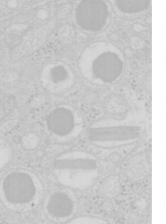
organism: Mouse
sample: Pancreas